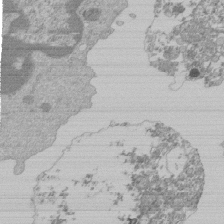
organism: Mouse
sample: Activated Pmel transgenic CD8+ T Cells